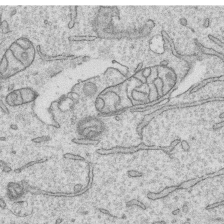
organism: Human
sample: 1205lu cells